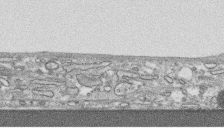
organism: Human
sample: CRL-1474